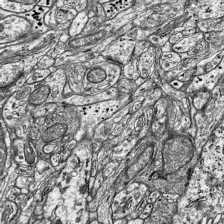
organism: Mouse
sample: Visual Cortex